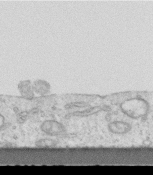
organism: Mouse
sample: Centriole in ependymal cells